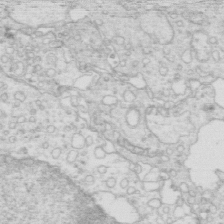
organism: Mouse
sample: Multiciliated cells